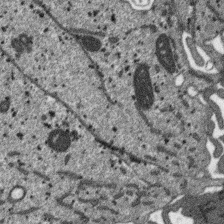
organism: Human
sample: Lung epithelial cells infected with SARS-CoV-2